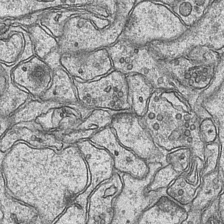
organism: Mouse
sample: CA1 Hippocampus